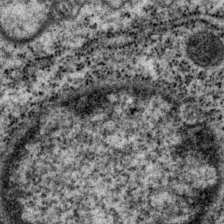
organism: P. pacificus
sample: Pharynx